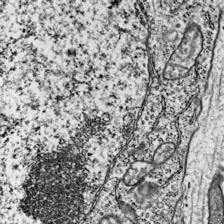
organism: Mouse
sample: Visual Cortex